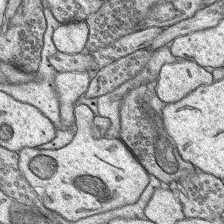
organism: Rat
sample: Hippocampus